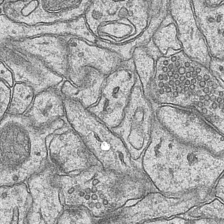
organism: Mouse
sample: CA1 Hippocampus